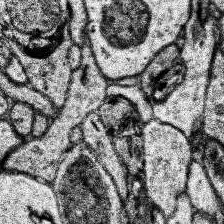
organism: Human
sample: Temporal Lobe